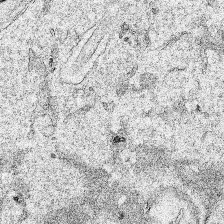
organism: Human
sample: Mitochondria in HCT116 cells